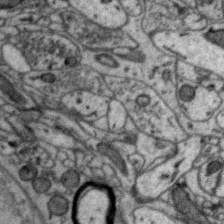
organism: Zebra finch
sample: Brain